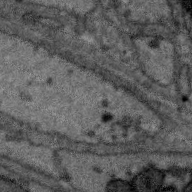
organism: Zebra finch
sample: Brain